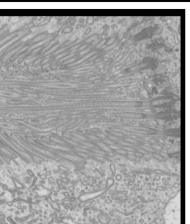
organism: Mouse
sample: Cilia; mouse epididymis